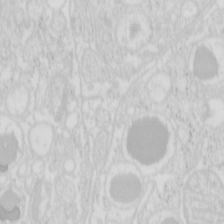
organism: Mouse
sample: Pancreas